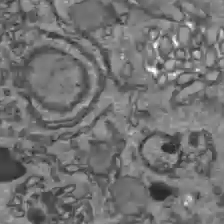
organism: C57BL Mouse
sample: Liver